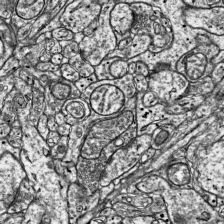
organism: Mouse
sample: Visual Cortex